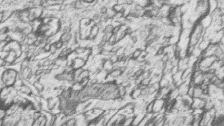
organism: Zebrafish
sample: synaptic ribbons in rod cells and cone cells